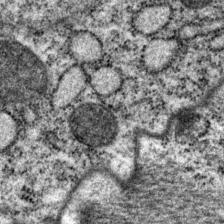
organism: P. pacificus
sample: Pharynx